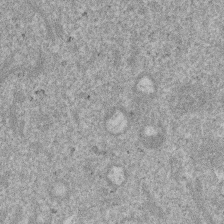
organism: Mouse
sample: Dividing mouse embryo 1 cell stage